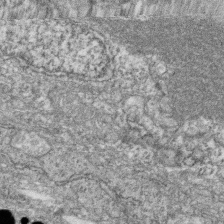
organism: Zebrafish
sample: Cilia; retinal pigment epithelium